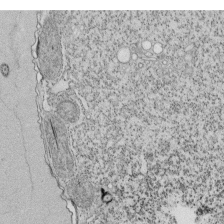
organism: Tetrahymena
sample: Cilia in tetrahymena